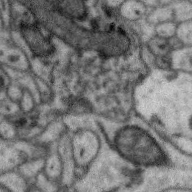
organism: Zebra finch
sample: Brain